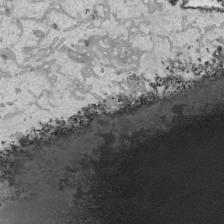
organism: Human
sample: Mitochondria in HCT116 cells